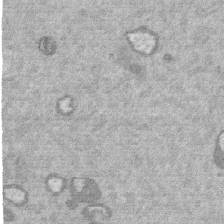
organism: Mouse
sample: Dividing mouse embryo 1 cell stage